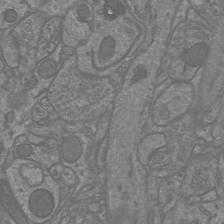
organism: Mouse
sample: Cortical neurons